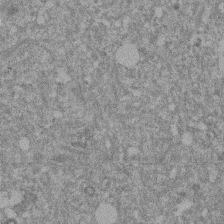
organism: Mouse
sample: Dividing mouse embryo 1 cell stage